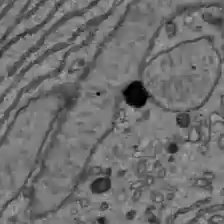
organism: C57BL Mouse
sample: Liver